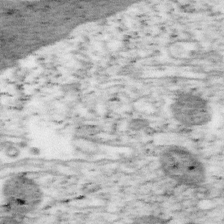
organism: Mouse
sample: OT-I killer T cells with ID8 ovarian cancer cells